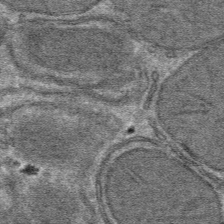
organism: Mouse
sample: Mouse hepatocytes